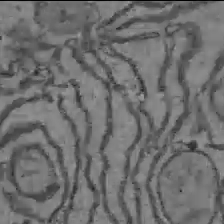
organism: C57BL Mouse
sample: Liver